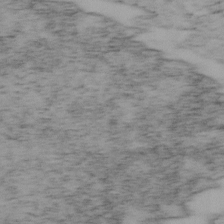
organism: Mouse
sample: OT-I killer T cells with ID8 ovarian cancer cells